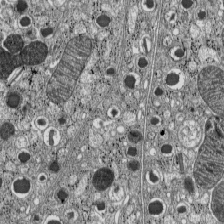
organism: C57BL Mouse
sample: Pancreatic islet